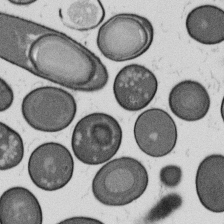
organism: B. subtilis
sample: Bacterial spore